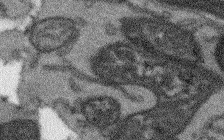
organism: Arabidopsis thaliana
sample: Root tip